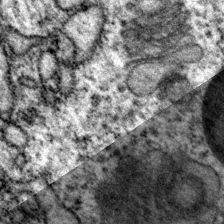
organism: P. pacificus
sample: Pharynx